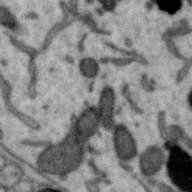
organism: Zebra finch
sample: Brain